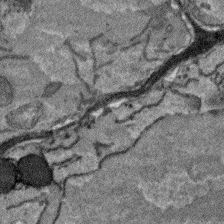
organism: Arabidopsis thaliana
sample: Root tip